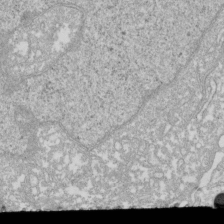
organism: Xenopus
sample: Cilia; centrioles in frog embryo cells